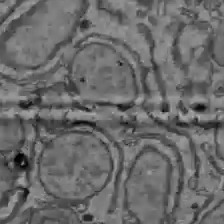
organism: C57BL Mouse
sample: Liver